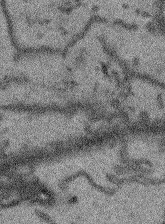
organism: Arabidopsis thaliana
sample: Root tip